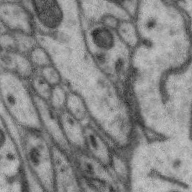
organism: Zebra finch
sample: Brain